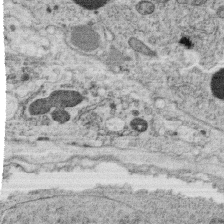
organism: C. elegans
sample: C. elegans oocyte; sperm cells